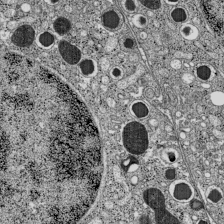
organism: C57BL Mouse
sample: Pancreatic islet